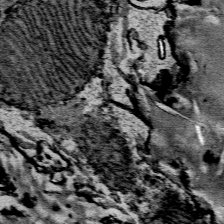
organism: Mouse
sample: Mouse Salivary gland